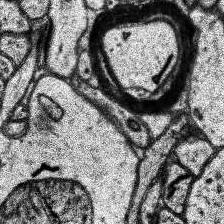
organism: Human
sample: Temporal Lobe